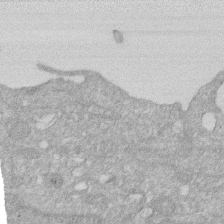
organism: Human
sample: HIV infected U937 cells